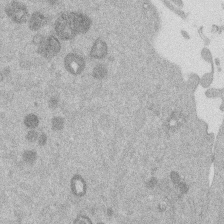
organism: Mouse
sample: Dividing mouse embryo 1 cell stage